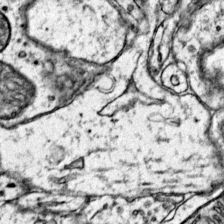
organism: Mouse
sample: Primary visual cortex